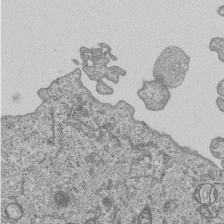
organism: Human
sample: MDA-MB-231 cells